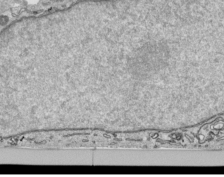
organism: Human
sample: Mitochondria in HCT116 cells